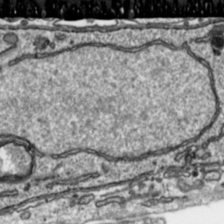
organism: Toxoplasma gondii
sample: Parasites in a vacuole inside a host cell